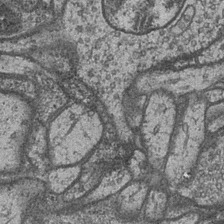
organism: Drosophila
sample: Optic medulla